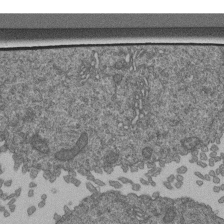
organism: Human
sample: Retinal organoid Rod and Cone cells